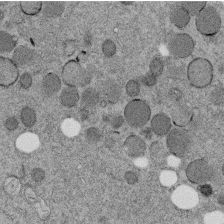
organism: C. elegans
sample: C. elegans embryo early stage